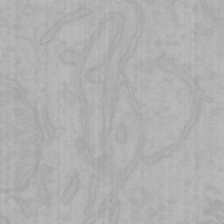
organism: Mouse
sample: Choroid plexus